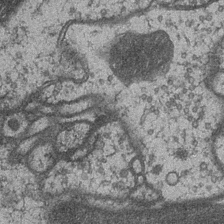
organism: Drosophila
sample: Optic medulla